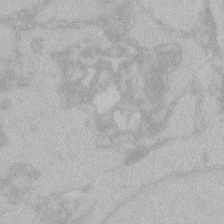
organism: Zebrafish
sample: Macrophage infected with Toxoplasma gondii